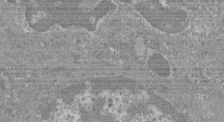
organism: Mouse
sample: Glomerulus